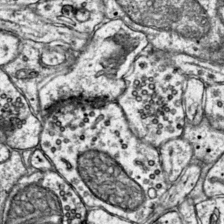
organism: Mouse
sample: Primary visual cortex